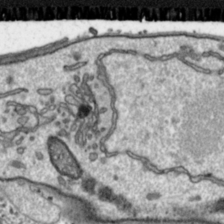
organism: Toxoplasma gondii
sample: Parasites in a vacuole inside a host cell